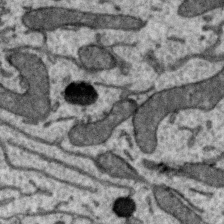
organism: Zebra finch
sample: Brain